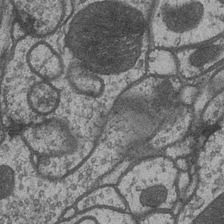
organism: Drosophila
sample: Optic medulla